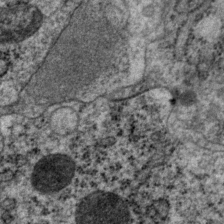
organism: P. pacificus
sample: Pharynx